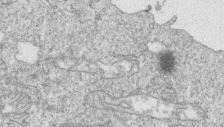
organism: Human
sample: HeLa cell HIV synapse